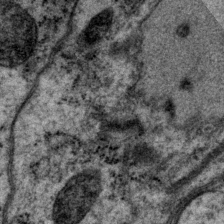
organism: P. pacificus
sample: Pharynx